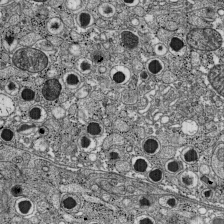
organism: C57BL Mouse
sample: Pancreatic islet